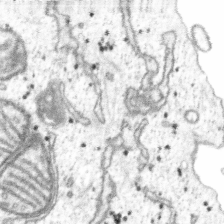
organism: Human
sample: HeLa cells